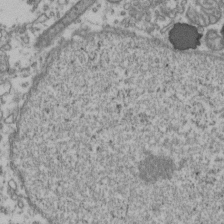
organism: Human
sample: Activated Jurkat CD4+ T cells